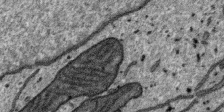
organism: Human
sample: Lung epithelial cells, uninfected (mock) control